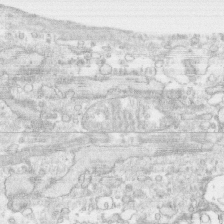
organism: Human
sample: CRL-1474